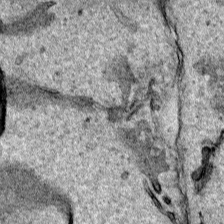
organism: Human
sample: Mitochondria in HCT116 cells